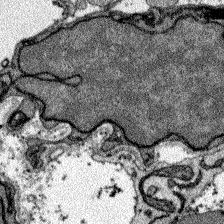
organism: Zebrafish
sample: Larval olfactory bulb